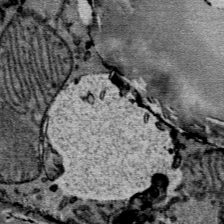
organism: Mouse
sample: Mouse Salivary gland